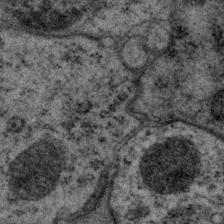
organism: P. pacificus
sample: Pharynx